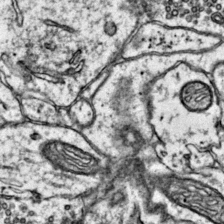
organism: Mouse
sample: Primary visual cortex